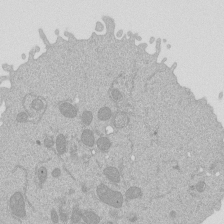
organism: Mouse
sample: Activated Pmel transgenic CD8+ T Cells